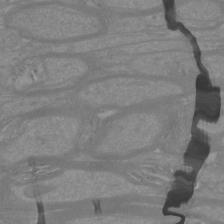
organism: Mouse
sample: Cortical neurons